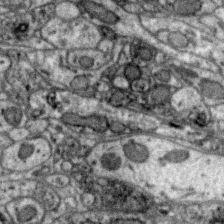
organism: Zebra finch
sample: Brain